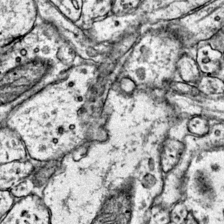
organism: Mouse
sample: Primary visual cortex